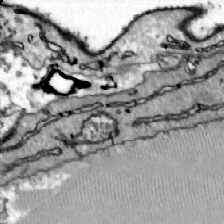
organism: Zebrafish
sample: Actinotrichia fibers